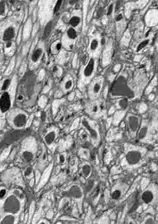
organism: Drosophila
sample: Optic lobe